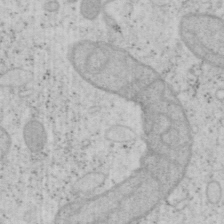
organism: Human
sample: HeLa cells